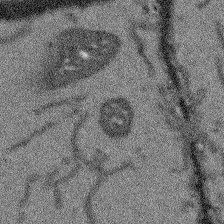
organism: Arabidopsis thaliana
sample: Root tip